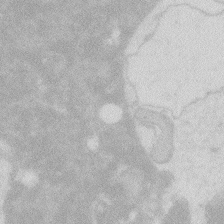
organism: Zebrafish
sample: Macrophage